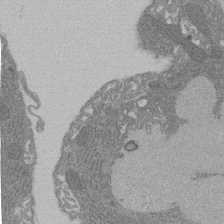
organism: Rat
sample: Salivary granule